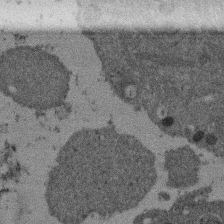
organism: Mouse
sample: Dividing mouse embryo 1 cell stage